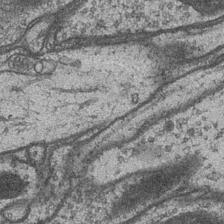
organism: Drosophila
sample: Optic medulla